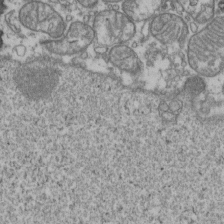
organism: Human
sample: Activated Jurkat CD4+ T cells